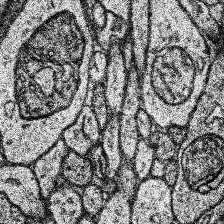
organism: Human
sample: Temporal Lobe